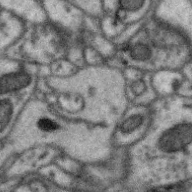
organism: Zebra finch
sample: Brain